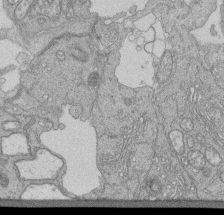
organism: Human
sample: Retinal organoid Rod and Cone cells